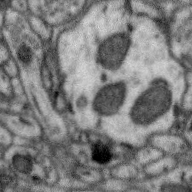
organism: Zebra finch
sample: Brain